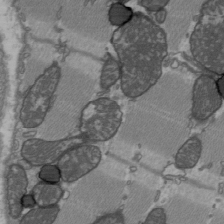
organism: C57BL Mouse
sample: Heart